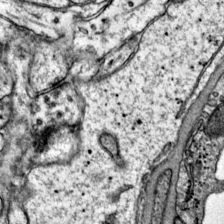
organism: Mouse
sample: Primary visual cortex